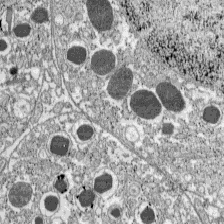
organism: C57BL Mouse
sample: Pancreatic islet